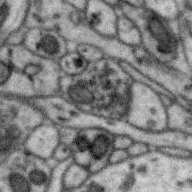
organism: Zebra finch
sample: Brain